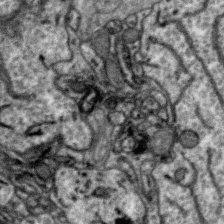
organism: Zebra finch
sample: Brain